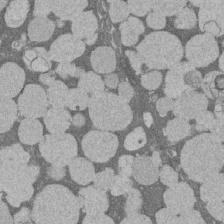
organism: Rat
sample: Salivary granule